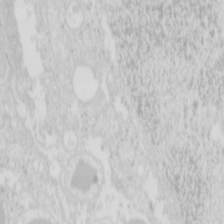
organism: Mouse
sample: Pancreas